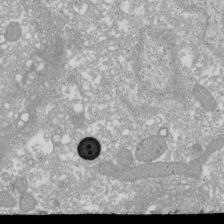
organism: Xenopus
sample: Cilia; centrioles in frog embryo cells